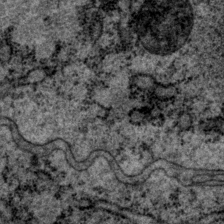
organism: P. pacificus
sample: Pharynx